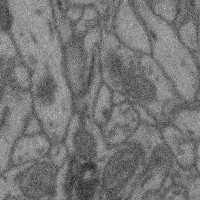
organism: Mouse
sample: Cerebral cortex